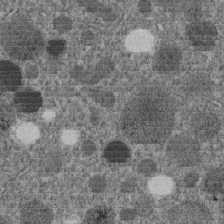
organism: C. elegans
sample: C. elegans embryo early stage